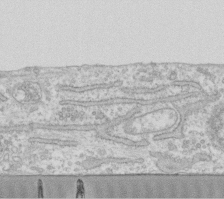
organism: Human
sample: Fibroblast cells